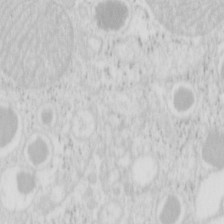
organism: Mouse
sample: Pancreas